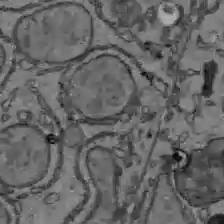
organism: C57BL Mouse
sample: Liver